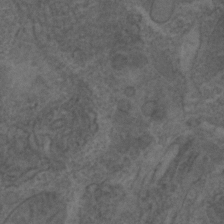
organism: C. elegans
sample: C. elegans embryo